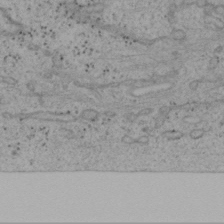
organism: Human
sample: HeLa cells